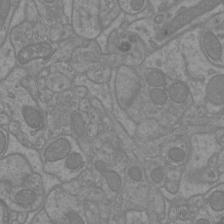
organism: Mouse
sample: Cortical neurons